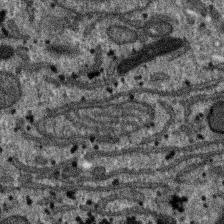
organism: Human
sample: Lung epithelial cells infected with SARS-CoV-2